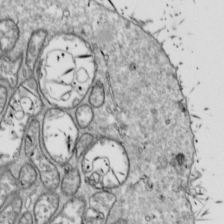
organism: Drosophila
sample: Cell division; meiosis; drosophila spermatocytes